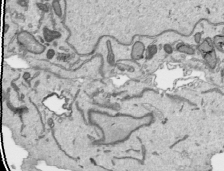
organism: Human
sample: Mitochondria in HCT116 cells